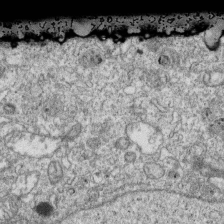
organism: Human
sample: HeLa cell HIV synapse